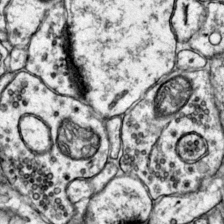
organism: Mouse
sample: Primary visual cortex